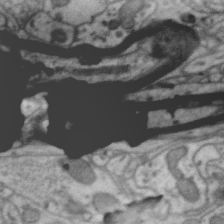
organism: Zebra finch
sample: Brain